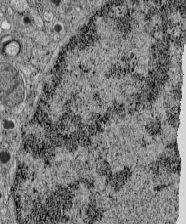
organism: C57BL Mouse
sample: Pancreatic islet